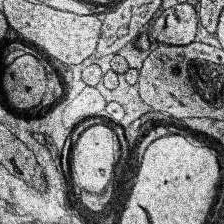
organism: Human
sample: Temporal Lobe